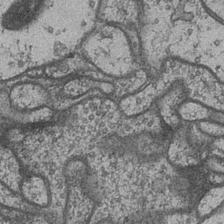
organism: Drosophila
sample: Optic medulla